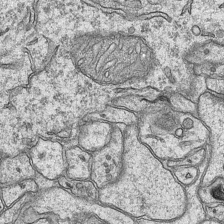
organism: Mouse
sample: CA1 Hippocampus